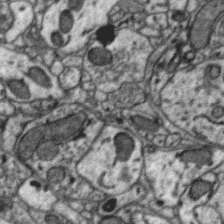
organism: Zebra finch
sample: Brain